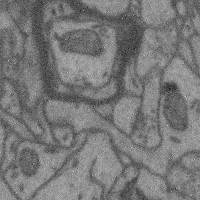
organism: Mouse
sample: Cerebral cortex